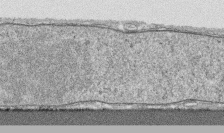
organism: Human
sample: CRL-1474